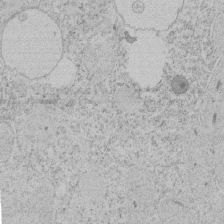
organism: Tetrahymena